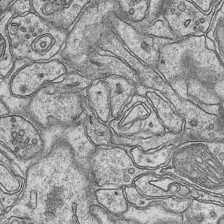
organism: Mouse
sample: CA1 Hippocampus